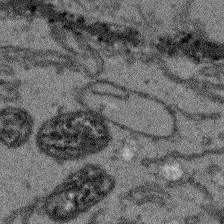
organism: Arabidopsis thaliana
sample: Root tip